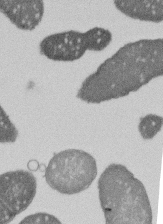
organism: E. coli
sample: Bacterial nucleoid